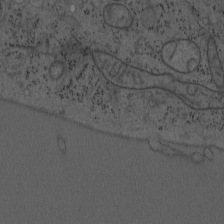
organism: Mouse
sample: OT-I killer T cells with ID8 ovarian cancer cells